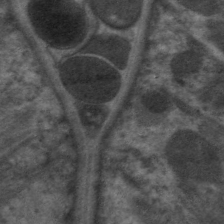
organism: C. elegans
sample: Pharynx